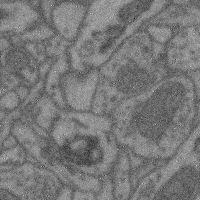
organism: Mouse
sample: Cerebral cortex